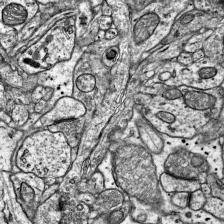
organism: Mouse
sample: Visual Cortex